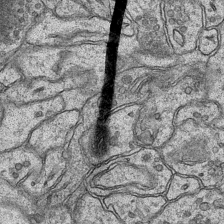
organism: Mouse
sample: CA1 Hippocampus